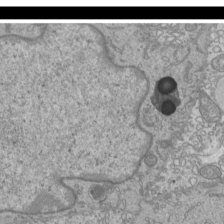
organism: Mouse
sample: Cilia; mouse epididymis